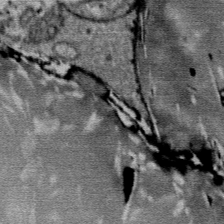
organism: Mouse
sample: Mouse Salivary gland